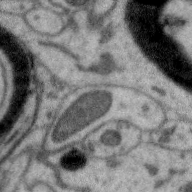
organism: Zebra finch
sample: Brain